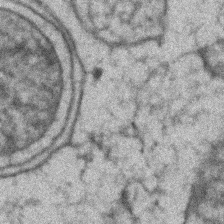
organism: Zebrafish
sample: Zebrafish embryo